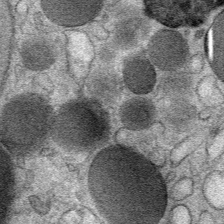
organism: Mouse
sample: Mouse Salivary gland